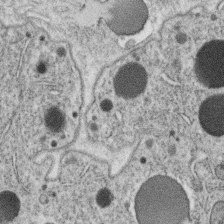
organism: C. elegans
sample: C. elegans oocyte; sperm cells